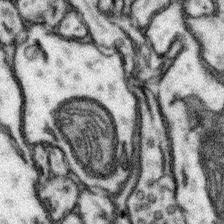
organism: Mouse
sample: Somatosensory cortex neuropil